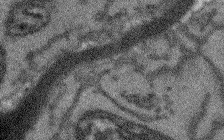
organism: Arabidopsis thaliana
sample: Root tip